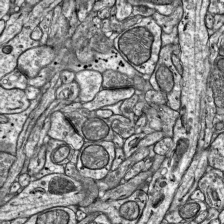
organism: Mouse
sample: Visual Cortex